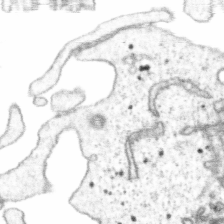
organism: Human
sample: HeLa cells